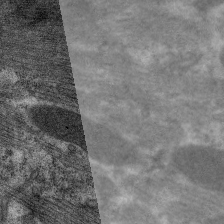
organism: C. elegans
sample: Pharynx